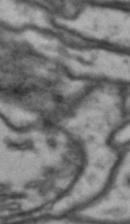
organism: Drosophila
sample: Brain